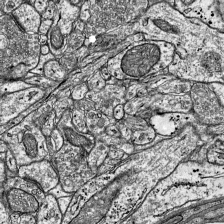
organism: Mouse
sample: Visual Cortex